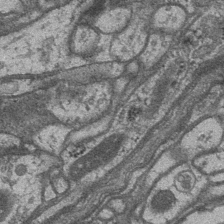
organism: Drosophila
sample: Optic medulla